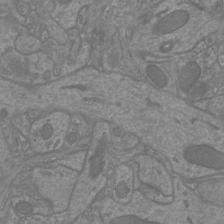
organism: Mouse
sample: Cortical neurons